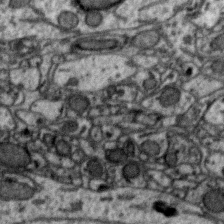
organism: Zebra finch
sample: Brain